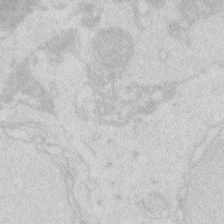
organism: Zebrafish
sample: Macrophage